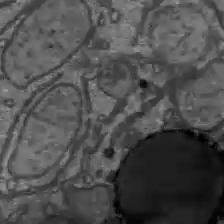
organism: C57BL Mouse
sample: Liver